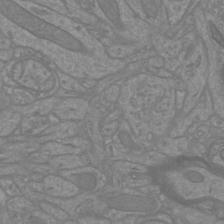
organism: Mouse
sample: Cortical neurons